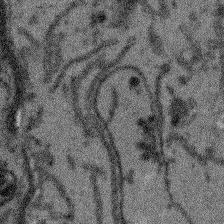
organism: Arabidopsis thaliana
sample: Root tip